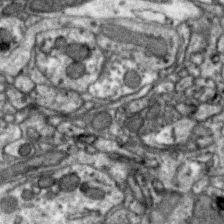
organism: Zebra finch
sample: Brain